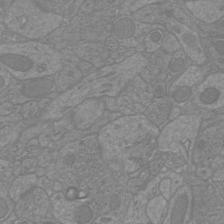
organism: Mouse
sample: Cortical neurons